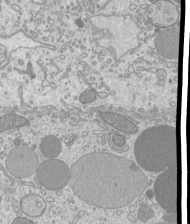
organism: Mouse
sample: Cilia; mouse epididymis